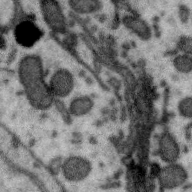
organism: Zebra finch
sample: Brain